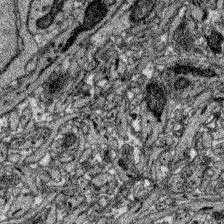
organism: Zebrafish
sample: Larval olfactory bulb